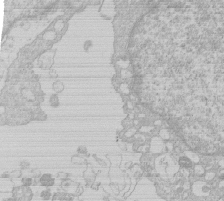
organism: Human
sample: Macrophage cells